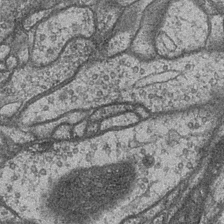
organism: Drosophila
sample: Optic medulla